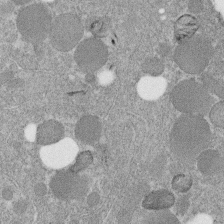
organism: C. elegans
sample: C. elegans embryo early stage